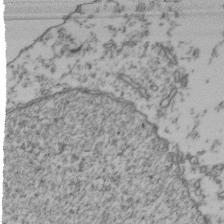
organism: Human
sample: Activated Jurkat CD4+ T cells